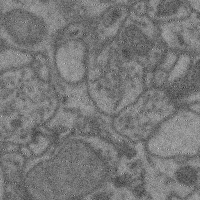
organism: Mouse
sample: Cerebral cortex